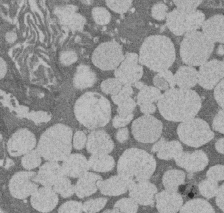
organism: Rat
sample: Salivary granule